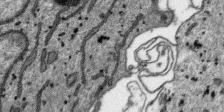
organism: Human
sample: Lung epithelial cells, uninfected (mock) control